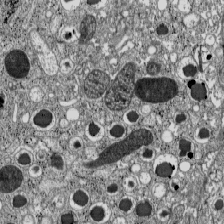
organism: C57BL Mouse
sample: Pancreatic islet